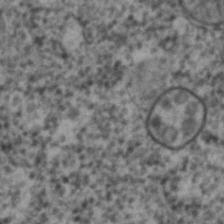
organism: C. elegans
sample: C. elegans embryo